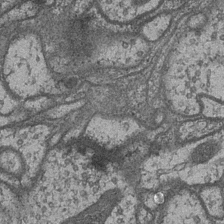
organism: Drosophila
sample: Optic medulla